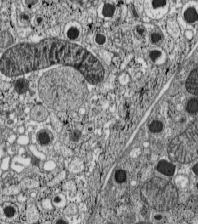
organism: C57BL Mouse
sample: Pancreatic islet